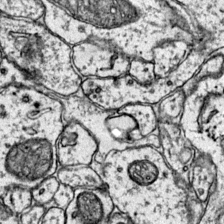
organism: Mouse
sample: Primary visual cortex